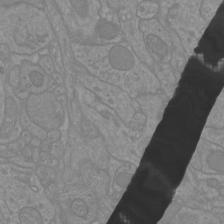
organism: Mouse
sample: Cortical neurons